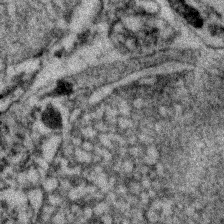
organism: Zebrafish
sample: Zebrafish embryo